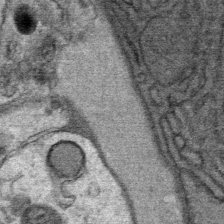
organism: Mouse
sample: Mouse Salivary gland